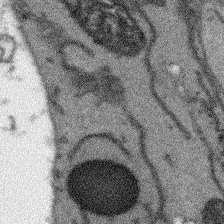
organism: Arabidopsis thaliana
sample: Root tip